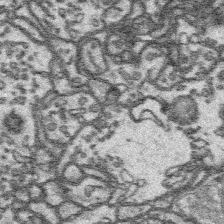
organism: Platynereis dumerilii